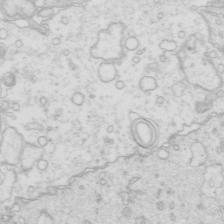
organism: Mouse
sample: Multiciliated cells